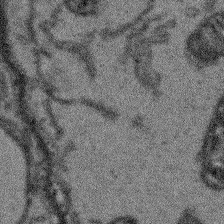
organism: Arabidopsis thaliana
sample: Root tip